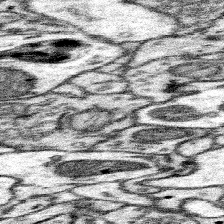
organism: Mouse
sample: Somatosensory cortex neuropil